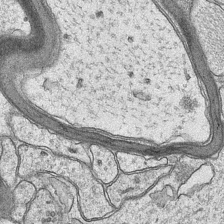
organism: Mouse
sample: CA1 Hippocampus